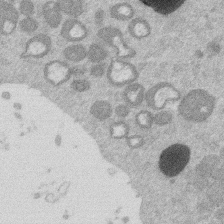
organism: Mouse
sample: Dividing mouse embryo 1 cell stage